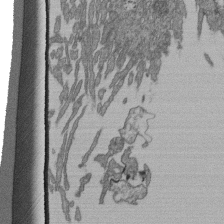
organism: Human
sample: Retinal organoid Rod and Cone cells